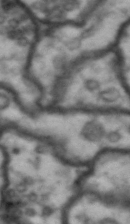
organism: Drosophila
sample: Brain